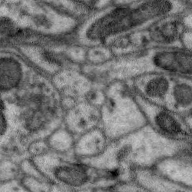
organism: Zebra finch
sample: Brain